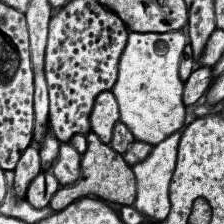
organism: Human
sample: Temporal Lobe